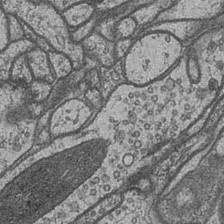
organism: Drosophila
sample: Optic medulla